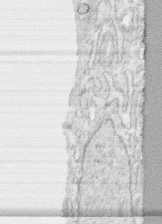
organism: Human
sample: CRL-1474